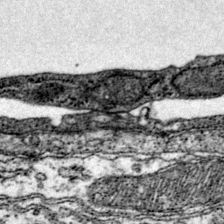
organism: Mouse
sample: Primary visual cortex